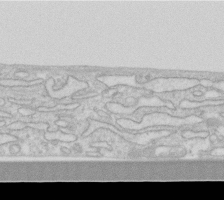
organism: Human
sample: Fibroblast cells